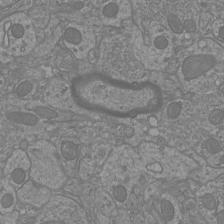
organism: Mouse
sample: Cortical neurons